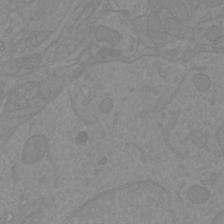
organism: Mouse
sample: Cortical neurons